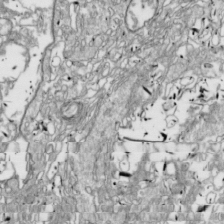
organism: Drosophila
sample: Cell division; meiosis; drosophila spermatocytes